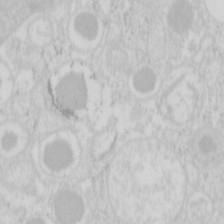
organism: Mouse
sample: Pancreas